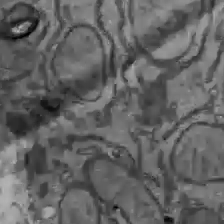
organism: C57BL Mouse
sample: Liver